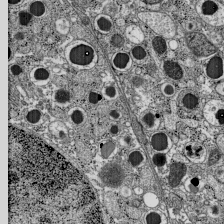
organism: C57BL Mouse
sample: Pancreatic islet